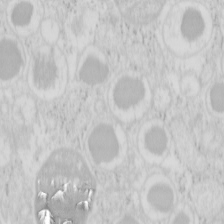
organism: Mouse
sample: Pancreas